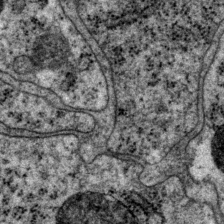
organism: P. pacificus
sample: Pharynx